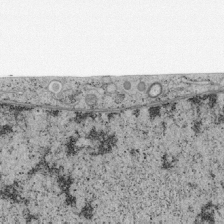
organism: Human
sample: HeLa cells